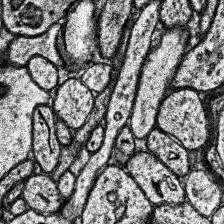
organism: Human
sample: Temporal Lobe